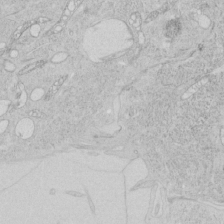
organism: Human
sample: Mitochondria in HCT116 cells